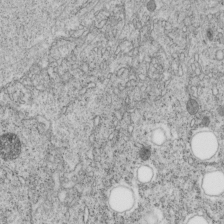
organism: C. elegans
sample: C. elegans embryo early stage